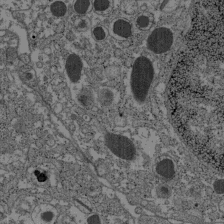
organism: C57BL Mouse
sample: Pancreatic islet